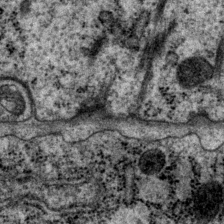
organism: P. pacificus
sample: Pharynx